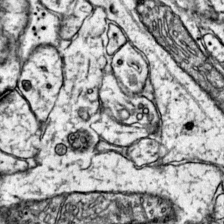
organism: Mouse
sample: Primary visual cortex